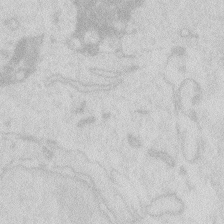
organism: Zebrafish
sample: Macrophage